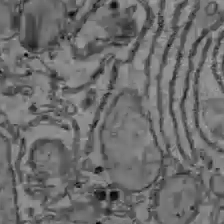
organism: C57BL Mouse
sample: Liver